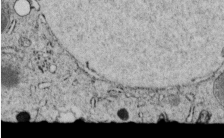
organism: C. elegans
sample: C. elegans embryo early stage